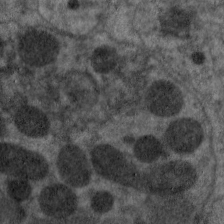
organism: C. elegans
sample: Pharynx